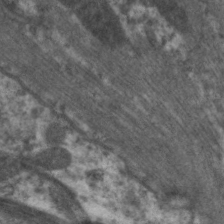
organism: C. elegans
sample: Pharynx